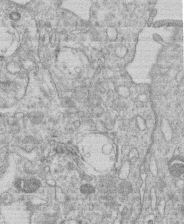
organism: Human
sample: Macrophage cells